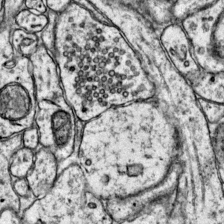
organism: Mouse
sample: Primary visual cortex